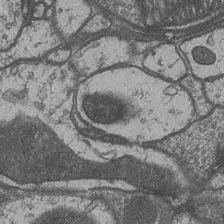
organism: Drosophila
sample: Optic medulla